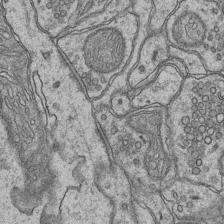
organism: Mouse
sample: CA1 Hippocampus